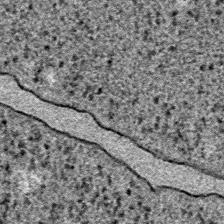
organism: E. coli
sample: E. Coli Bacteria